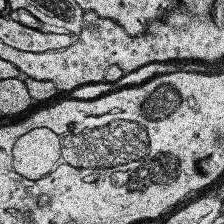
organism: Human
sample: Temporal Lobe